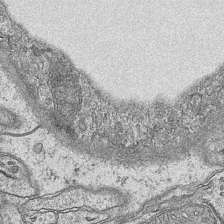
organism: Mouse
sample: CA1 Hippocampus